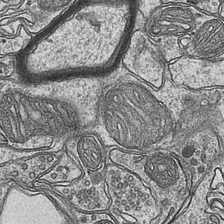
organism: Mouse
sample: CA1 Hippocampus